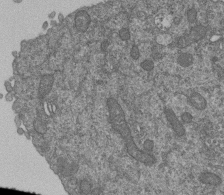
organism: Human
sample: Retinal organoid Rod and Cone cells